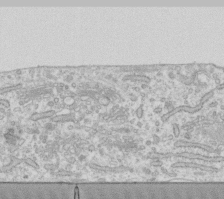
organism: Human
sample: Fibroblast cells